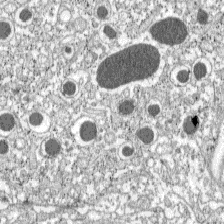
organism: C57BL Mouse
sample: Pancreatic islet